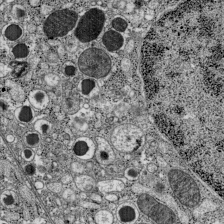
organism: C57BL Mouse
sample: Pancreatic islet